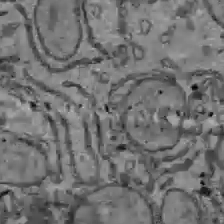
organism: C57BL Mouse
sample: Liver